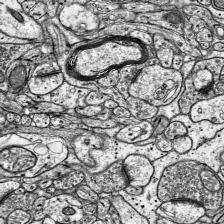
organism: Mouse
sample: Visual Cortex